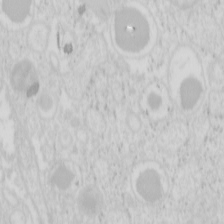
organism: Mouse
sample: Pancreas